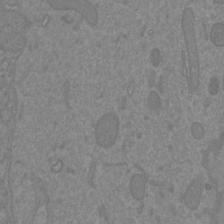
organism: Mouse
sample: Cortical neurons